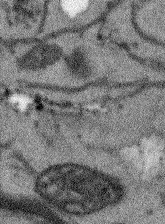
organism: Arabidopsis thaliana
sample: Root tip